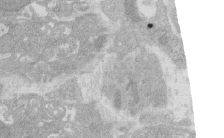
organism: Rat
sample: Salivary granule